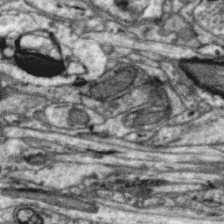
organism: Zebra finch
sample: Brain